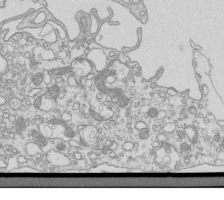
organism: Mouse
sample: Macrophages